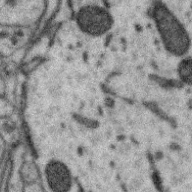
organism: Zebra finch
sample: Brain